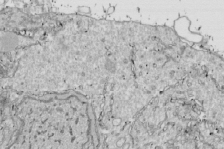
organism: Drosophila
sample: Cell division; meiosis; drosophila spermatocytes